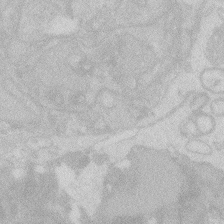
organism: Zebrafish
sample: Macrophage